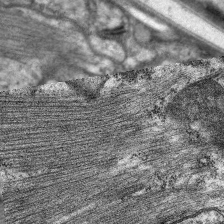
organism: C. elegans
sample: Pharynx